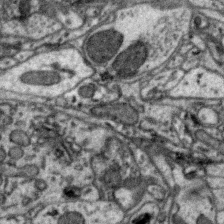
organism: Zebra finch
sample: Brain